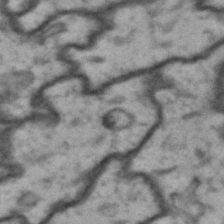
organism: Drosophila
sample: Brain